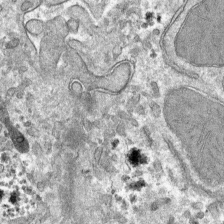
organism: Mouse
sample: Mouse hepatocytes